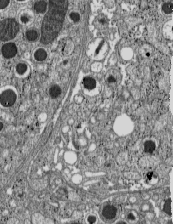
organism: C57BL Mouse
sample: Pancreatic islet